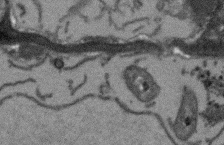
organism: Arabidopsis thaliana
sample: Root tip